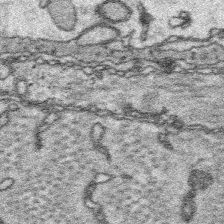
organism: Platynereis dumerilii